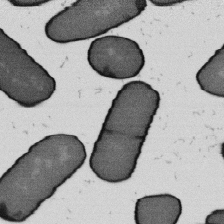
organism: B. subtilis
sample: Bacterial spore